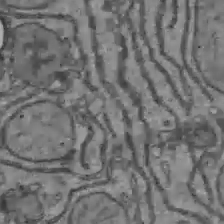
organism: C57BL Mouse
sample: Liver